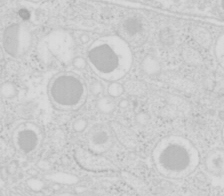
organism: Mouse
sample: Pancreas